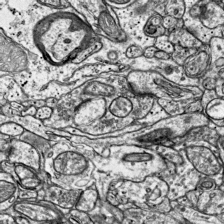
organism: Mouse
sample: Visual Cortex